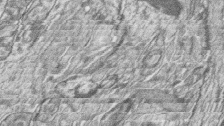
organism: Zebrafish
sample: synaptic ribbons in rod cells and cone cells